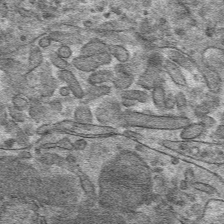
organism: Mouse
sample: Mouse hepatocytes